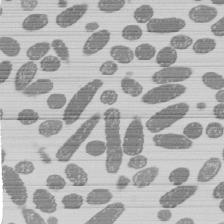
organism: E. coli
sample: Bacterial nucleoid